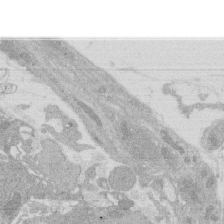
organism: Rat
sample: Salivary granule